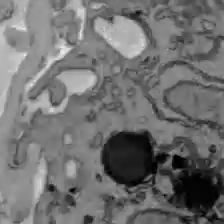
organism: C57BL Mouse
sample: Liver